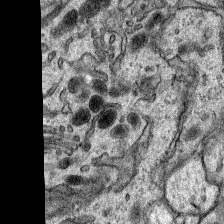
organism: Rat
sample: Hippocampus